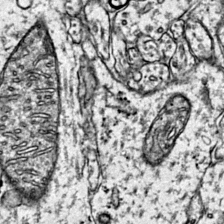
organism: Mouse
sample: Primary visual cortex